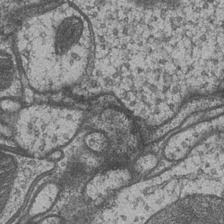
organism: Drosophila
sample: Optic medulla